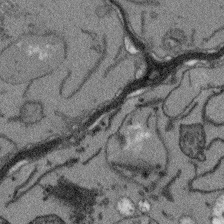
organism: Arabidopsis thaliana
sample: Root tip